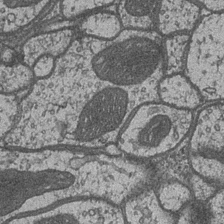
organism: Drosophila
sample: Optic medulla